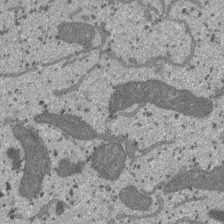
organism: Human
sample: Lung epithelial cells infected with SARS-CoV-2